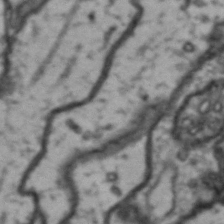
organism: Drosophila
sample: Brain